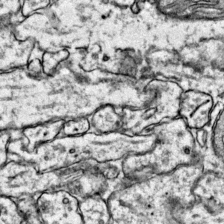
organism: Mouse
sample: Primary visual cortex